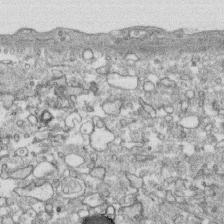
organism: Human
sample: CRL-1474